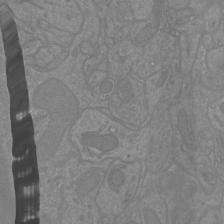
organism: Mouse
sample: Cortical neurons